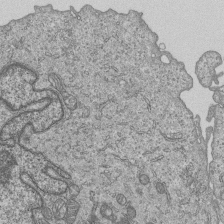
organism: Human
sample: MDA-MB-231 cells